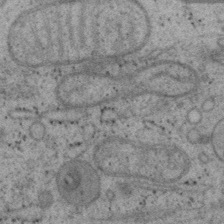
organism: Human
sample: HeLa cells